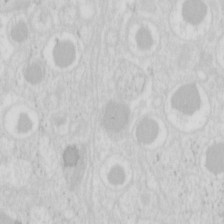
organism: Mouse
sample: Pancreas